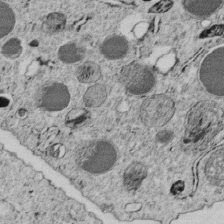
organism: C. elegans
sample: C. elegans embryo early stage